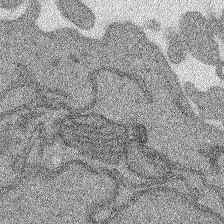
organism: Human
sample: HeLa cells